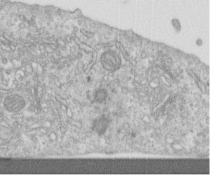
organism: Human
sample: Centriole in RPE cells